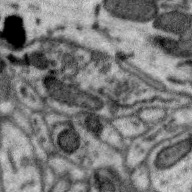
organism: Zebra finch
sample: Brain